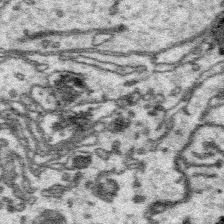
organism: Platynereis dumerilii